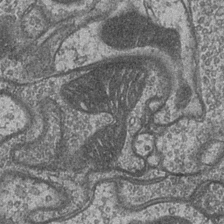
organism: Drosophila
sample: Optic medulla